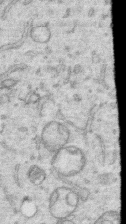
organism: Human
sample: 1205lu cells